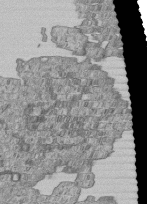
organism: Human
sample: MDA-MB-231 cells